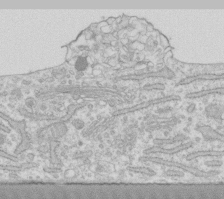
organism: Human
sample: Fibroblast cells